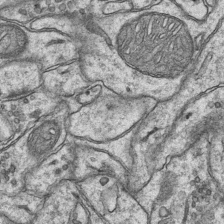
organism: Mouse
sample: CA1 Hippocampus